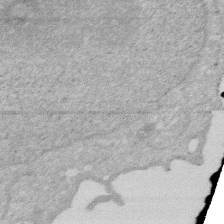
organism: Human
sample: HIV infected U937 cells